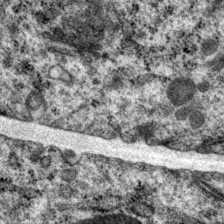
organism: P. pacificus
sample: Pharynx